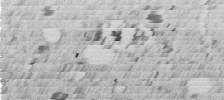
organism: C. elegans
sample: C. elegans embryo early stage